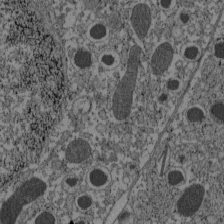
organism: C57BL Mouse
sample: Pancreatic islet